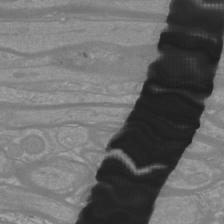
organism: Mouse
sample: Cortical neurons